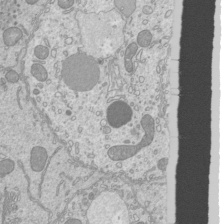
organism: Mouse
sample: Cilia; mouse epididymis